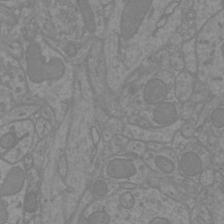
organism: Mouse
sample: Cortical neurons